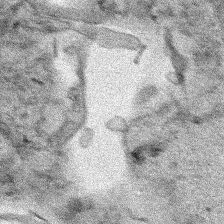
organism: Human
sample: Mitochondria in HCT116 cells